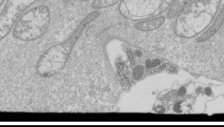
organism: Drosophila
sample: Cell division; meiosis; drosophila spermatocytes